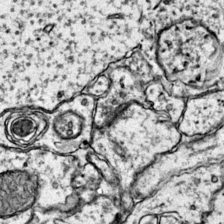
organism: Mouse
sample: Primary visual cortex